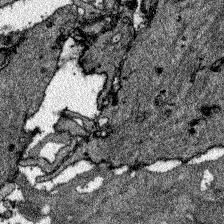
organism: Zebrafish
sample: Larval olfactory bulb